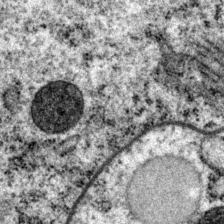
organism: P. pacificus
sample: Pharynx